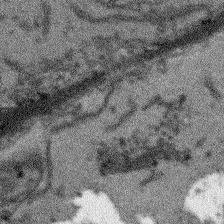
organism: Arabidopsis thaliana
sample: Root tip